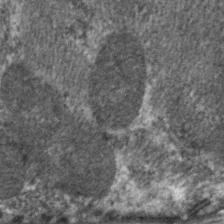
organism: C. elegans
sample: Pharynx